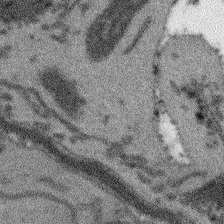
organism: Arabidopsis thaliana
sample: Root tip